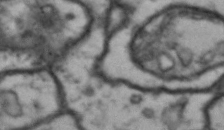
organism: Drosophila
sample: Brain